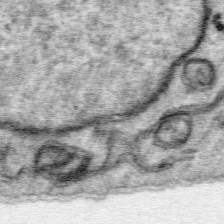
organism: Human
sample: HeLa cells